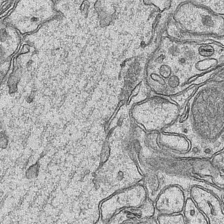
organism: Mouse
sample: CA1 Hippocampus